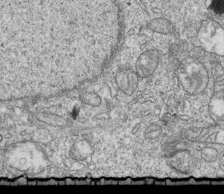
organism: Human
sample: HeLa cell HIV synapse